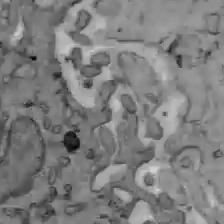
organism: C57BL Mouse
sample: Liver